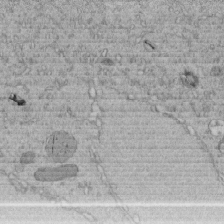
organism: C. elegans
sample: C. elegans embryo early stage